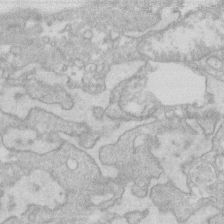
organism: Human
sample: Fibroblast cells